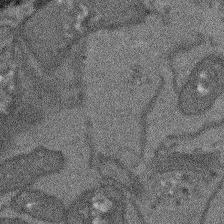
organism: Arabidopsis thaliana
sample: Root tip